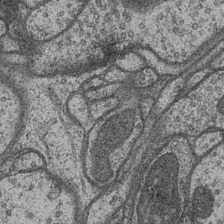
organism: Drosophila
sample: Optic medulla